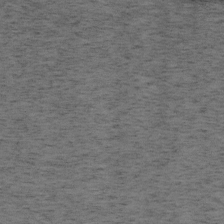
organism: Mouse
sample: OT-I killer T cells with ID8 ovarian cancer cells